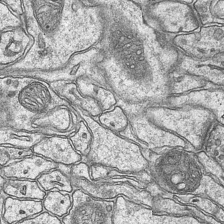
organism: Mouse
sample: CA1 Hippocampus